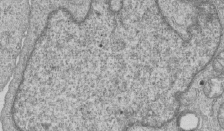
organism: Human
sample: MDA-MB-231 cells